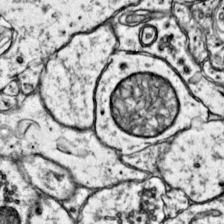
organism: Mouse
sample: Primary visual cortex